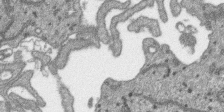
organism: Human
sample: Lung epithelial cells infected with SARS-CoV-2